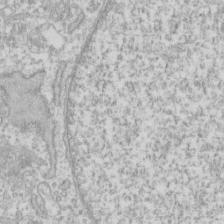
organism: Human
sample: Fibroblast cells